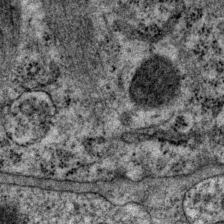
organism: P. pacificus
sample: Pharynx